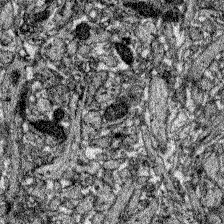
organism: Zebrafish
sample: Larval olfactory bulb